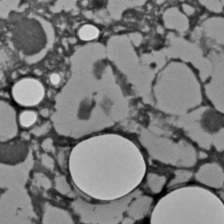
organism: C. elegans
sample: C. elegans embryo